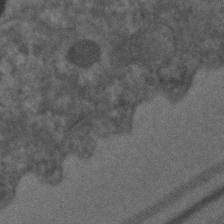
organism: C. elegans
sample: C. elegans embryo